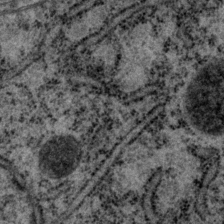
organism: P. pacificus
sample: Pharynx